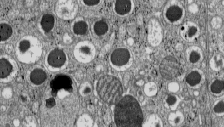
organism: C57BL Mouse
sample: Pancreatic islet